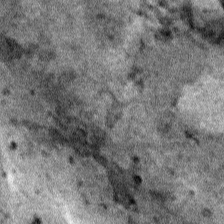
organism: Human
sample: Mitochondria in HCT116 cells